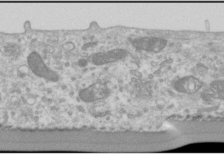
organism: Human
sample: Cilia; basal body in RPE cells